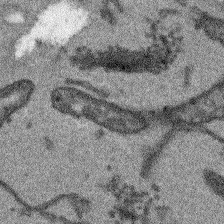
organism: Arabidopsis thaliana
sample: Root tip